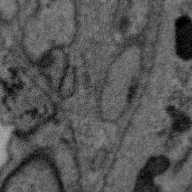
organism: Zebra finch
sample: Brain